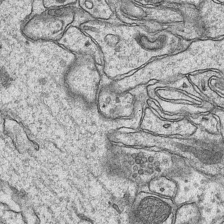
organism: Mouse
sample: CA1 Hippocampus